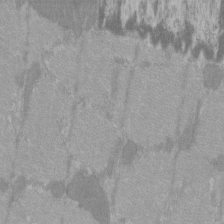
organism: C57BL Mouse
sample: Tibialis anterior muscle cell